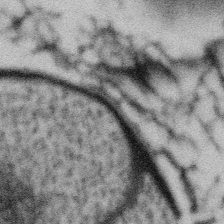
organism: Gemmata obscuriglobus